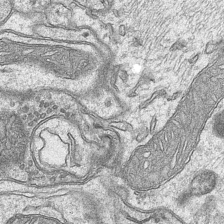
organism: Mouse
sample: CA1 Hippocampus